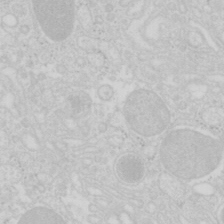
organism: Mouse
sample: Pancreas